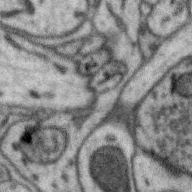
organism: Zebra finch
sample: Brain